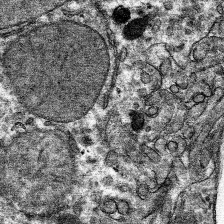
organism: Mouse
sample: Mouse hepatocytes